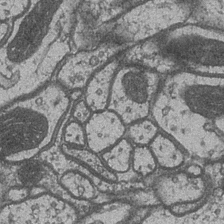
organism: Drosophila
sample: Optic medulla